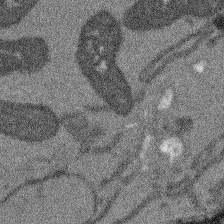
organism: Arabidopsis thaliana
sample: Root tip